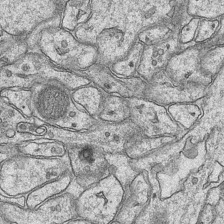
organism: Mouse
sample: CA1 Hippocampus